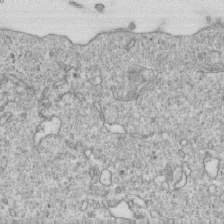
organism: Mouse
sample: Activated OT-1 CD8+ T cells